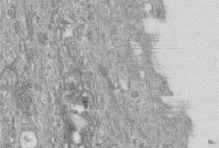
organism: Human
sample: Centriole in fibroblast cells